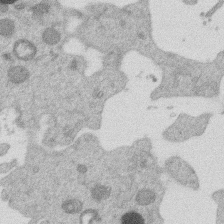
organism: Mouse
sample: Dividing mouse embryo 1 cell stage